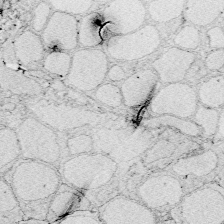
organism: Zebrafish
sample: Whole-Brain